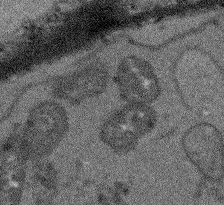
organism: Arabidopsis thaliana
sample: Root tip